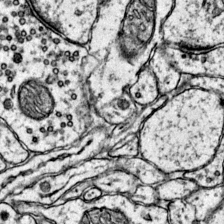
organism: Mouse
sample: Primary visual cortex